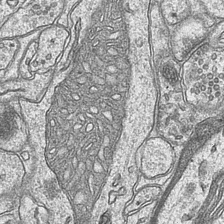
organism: Mouse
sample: CA1 Hippocampus